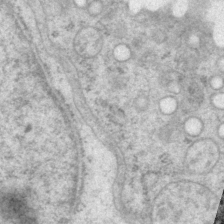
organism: P. pacificus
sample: Pharynx